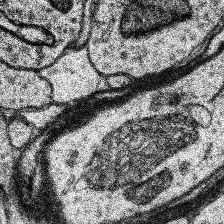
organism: Human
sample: Temporal Lobe